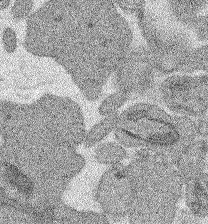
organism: Human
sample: HeLa cells